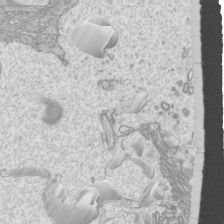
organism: Mouse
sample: Cilia; mouse epididymis